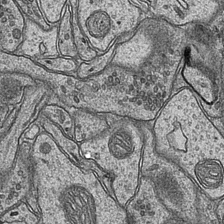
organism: Mouse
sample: CA1 Hippocampus